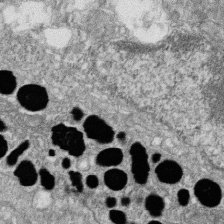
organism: Zebrafish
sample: Cilia; retinal pigment epithelium